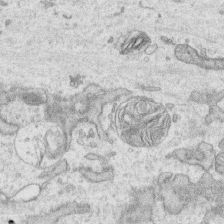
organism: Human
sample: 1205lu cells